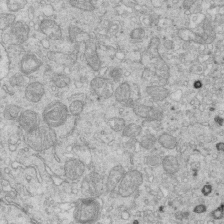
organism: Mouse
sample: Multiciliated cells